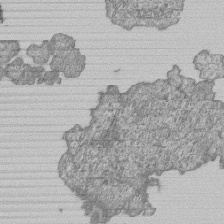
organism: Human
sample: MDA-MB-231 cells